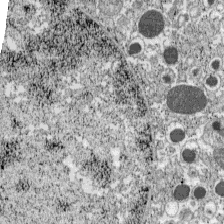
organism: C57BL Mouse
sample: Pancreatic islet